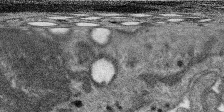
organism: Human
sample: Lung epithelial cells infected with SARS-CoV-2